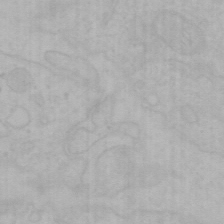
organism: Mouse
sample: Choroid plexus